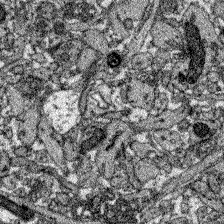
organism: Zebrafish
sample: Larval olfactory bulb